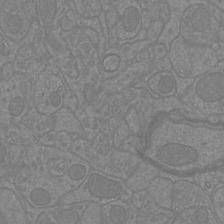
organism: Mouse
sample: Cortical neurons